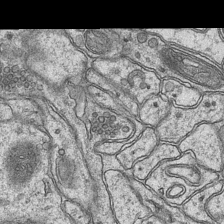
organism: Mouse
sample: CA1 Hippocampus